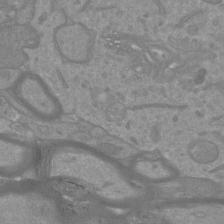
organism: Mouse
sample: Cortical neurons